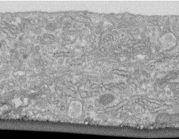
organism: Human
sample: Centriole in fibroblast cells